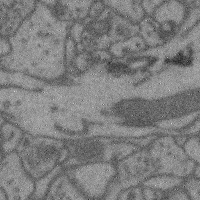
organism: Mouse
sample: Cerebral cortex